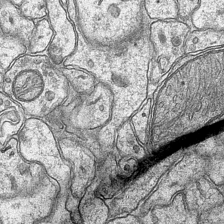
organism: Mouse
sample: CA1 Hippocampus